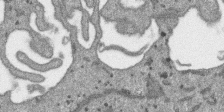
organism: Human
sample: Lung epithelial cells infected with SARS-CoV-2